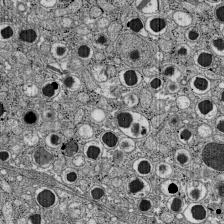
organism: C57BL Mouse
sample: Pancreatic islet